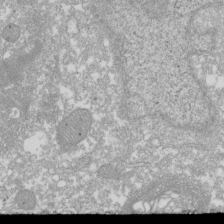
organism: Xenopus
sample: Cilia; centrioles in frog embryo cells